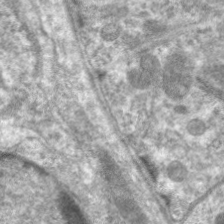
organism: C. elegans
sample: Pharynx